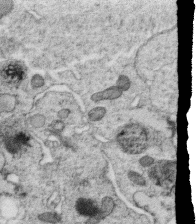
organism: C. elegans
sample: C. elegans oocyte; sperm cells